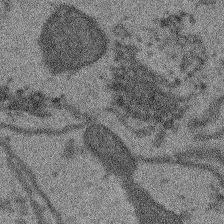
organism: Arabidopsis thaliana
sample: Root tip